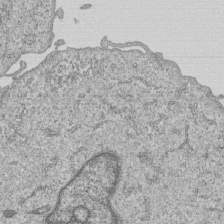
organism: Human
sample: MDA-MB-231 cells